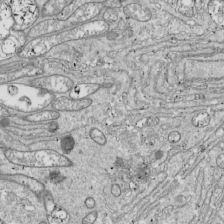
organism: Drosophila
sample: Cell division; meiosis; drosophila spermatocytes